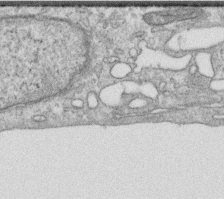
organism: Human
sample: Centriole in RPE cells